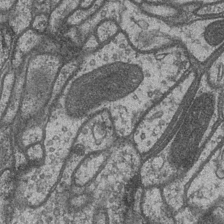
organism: Drosophila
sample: Optic medulla